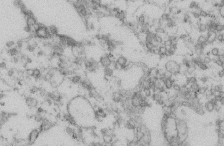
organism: Mouse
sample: Cilia; retinal pigment epithelium